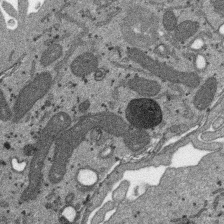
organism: Human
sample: Lung epithelial cells infected with SARS-CoV-2